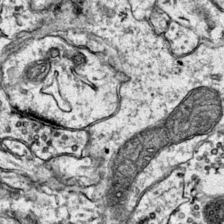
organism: Mouse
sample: Primary visual cortex